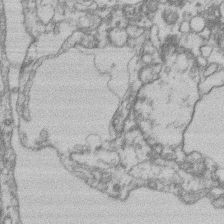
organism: Mouse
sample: T cell stromal cell synapse